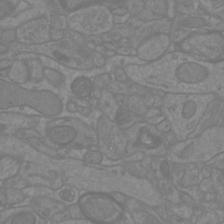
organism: Mouse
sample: Cortical neurons